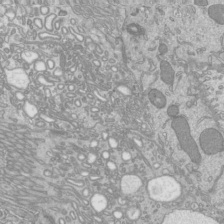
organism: Mouse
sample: Cilia; mouse epididymis